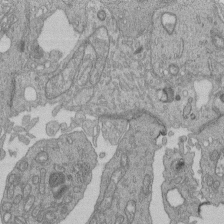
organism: Human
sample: Retinal organoid Rod and Cone cells